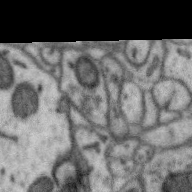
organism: Zebra finch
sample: Brain